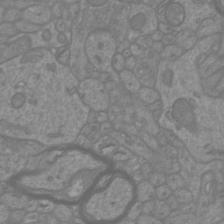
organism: Mouse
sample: Cortical neurons